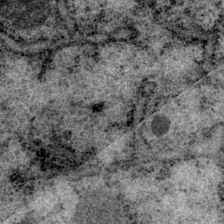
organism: P. pacificus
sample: Pharynx